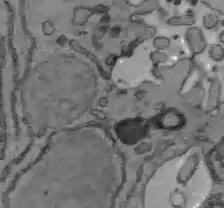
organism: C57BL Mouse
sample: Liver